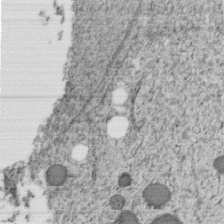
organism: C. elegans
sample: C. elegans embryo early stage